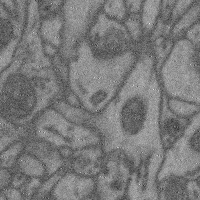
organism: Mouse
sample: Cerebral cortex